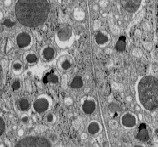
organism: C57BL Mouse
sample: Pancreatic islet